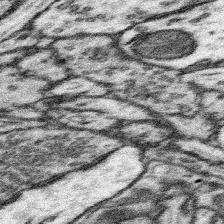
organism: Mouse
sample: Somatosensory cortex neuropil